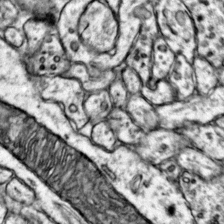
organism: Mouse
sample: Primary visual cortex